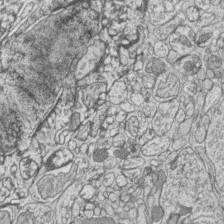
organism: Zebrafish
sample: synaptic ribbons in rod cells and cone cells